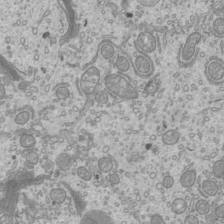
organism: Mouse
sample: Cilia; mouse epididymis